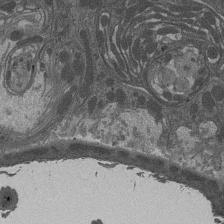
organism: Drosophila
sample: Antenna